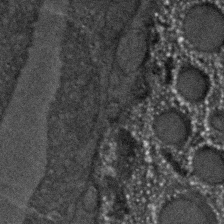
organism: C. elegans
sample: C. elegans embryo